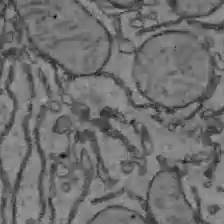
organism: C57BL Mouse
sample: Liver